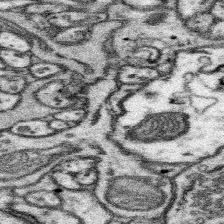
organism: Mouse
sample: Somatosensory cortex neuropil